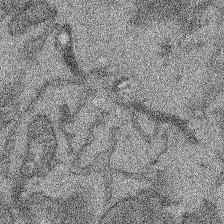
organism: Human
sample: HeLa cells